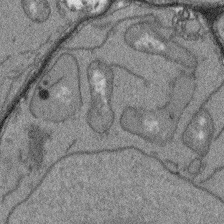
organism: Arabidopsis thaliana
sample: Root tip